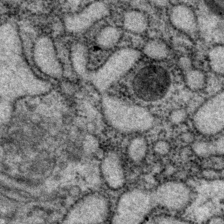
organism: P. pacificus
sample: Pharynx